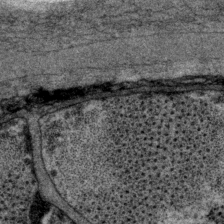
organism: P. pacificus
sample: Pharynx